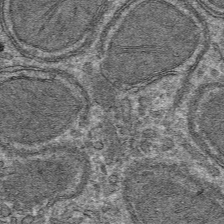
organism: Mouse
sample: Mouse hepatocytes